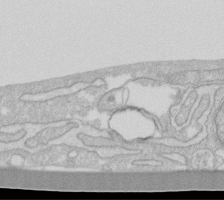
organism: Human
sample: Fibroblast cells